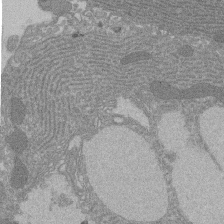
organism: Rat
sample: Salivary granule